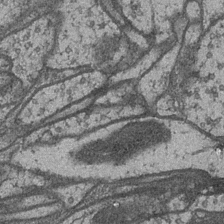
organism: Drosophila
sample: Optic medulla